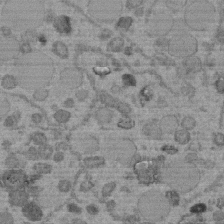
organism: C. elegans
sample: C. elegans embryo early stage